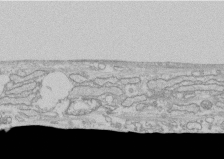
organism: Human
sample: CRL-1474